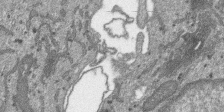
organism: Human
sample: Lung epithelial cells infected with SARS-CoV-2